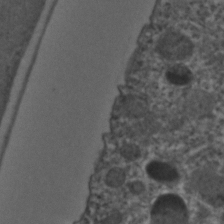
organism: C. elegans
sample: C. elegans embryo